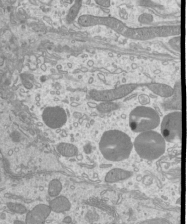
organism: Mouse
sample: Cilia; mouse epididymis